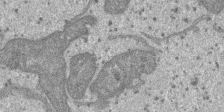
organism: Human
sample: Lung epithelial cells infected with SARS-CoV-2